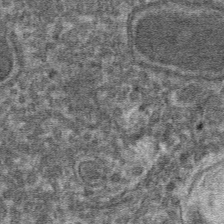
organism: Mouse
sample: Mouse hepatocytes